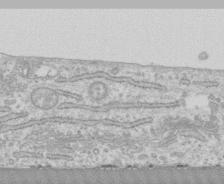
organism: Human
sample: CRL-1474